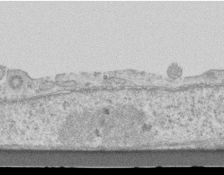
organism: Mouse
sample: Centriole in ependymal cells